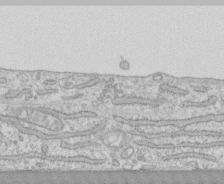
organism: Human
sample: CRL-1474